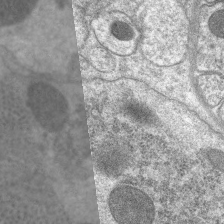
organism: C. elegans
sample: Pharynx